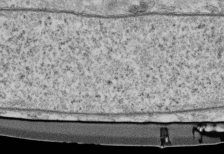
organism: Mouse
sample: Cilia; retinal pigment epithelium